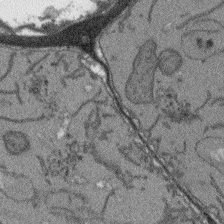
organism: Arabidopsis thaliana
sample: Root tip